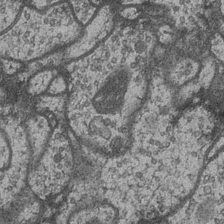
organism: Drosophila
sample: Optic medulla